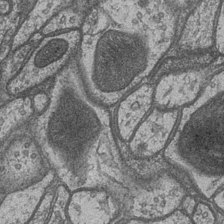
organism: Drosophila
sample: Optic medulla